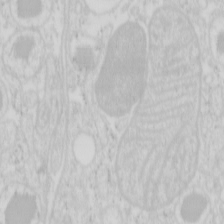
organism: Mouse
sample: Pancreas